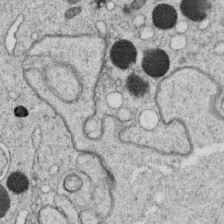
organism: C. elegans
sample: C. elegans oocyte; sperm cells